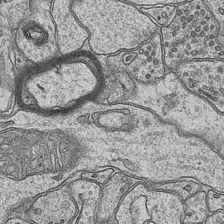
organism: Mouse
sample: CA1 Hippocampus